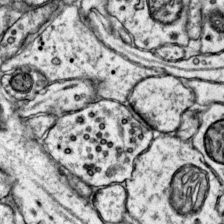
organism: Mouse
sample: Primary visual cortex